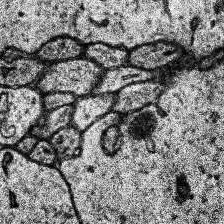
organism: Human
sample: Temporal Lobe